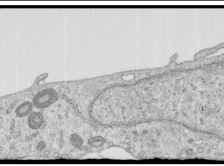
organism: Human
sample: Centriole in RPE cells